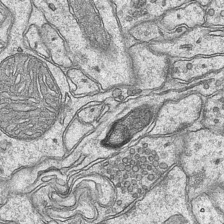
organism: Mouse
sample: CA1 Hippocampus